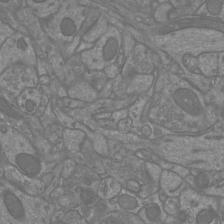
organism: Mouse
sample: Cortical neurons